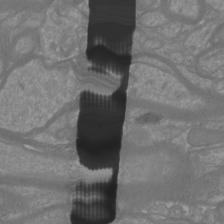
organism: Mouse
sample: Cortical neurons